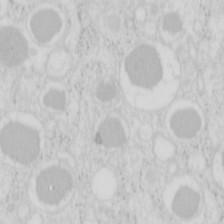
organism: Mouse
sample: Pancreas